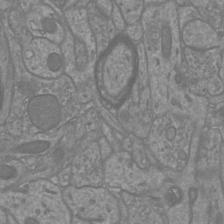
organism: Mouse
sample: Cortical neurons